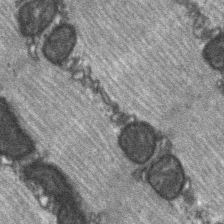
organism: C57BL Mouse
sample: Soleus